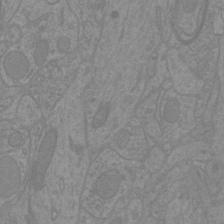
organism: Mouse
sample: Cortical neurons